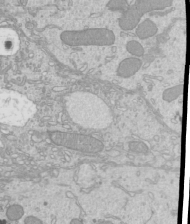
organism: Mouse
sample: Cilia; mouse epididymis